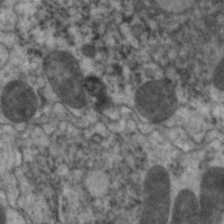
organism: C. elegans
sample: Pharynx